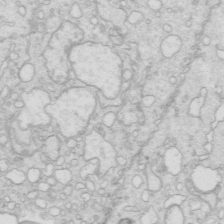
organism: Mouse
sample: Multiciliated cells